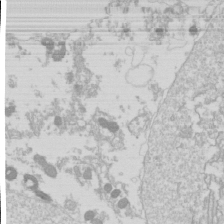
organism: Drosophila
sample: Cell division; meiosis; drosophila spermatocytes